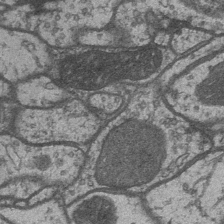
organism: Drosophila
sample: Optic medulla